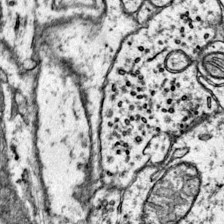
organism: Mouse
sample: Primary visual cortex